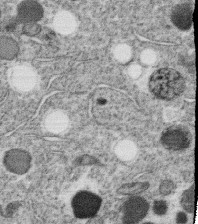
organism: C. elegans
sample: C. elegans oocyte; sperm cells